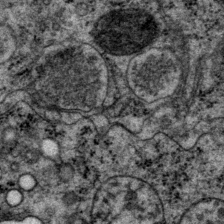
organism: P. pacificus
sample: Pharynx